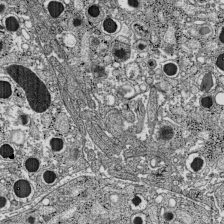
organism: C57BL Mouse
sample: Pancreatic islet